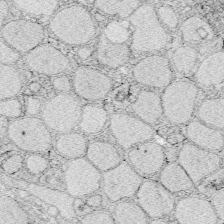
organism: Zebrafish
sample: Whole-Brain